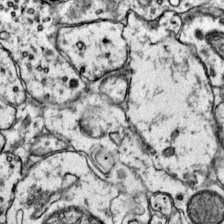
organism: Mouse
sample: Primary visual cortex